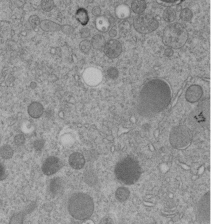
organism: C. elegans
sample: C. elegans embryo early stage